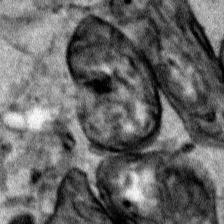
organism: Human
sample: Mitochondria in HCT116 cells